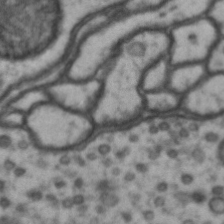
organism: Drosophila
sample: Brain